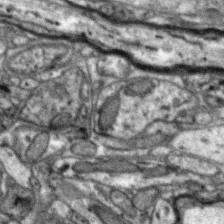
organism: Zebra finch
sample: Brain